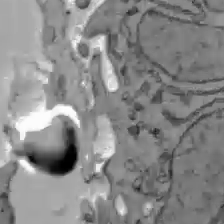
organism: C57BL Mouse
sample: Liver